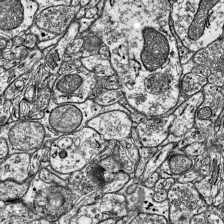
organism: Mouse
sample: Visual Cortex